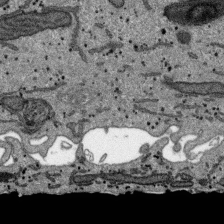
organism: Human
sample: Lung epithelial cells, uninfected (mock) control